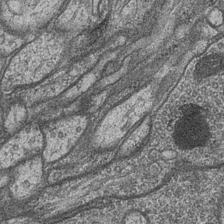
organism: Drosophila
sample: Optic medulla